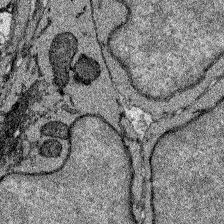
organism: Zebrafish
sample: Larval olfactory bulb